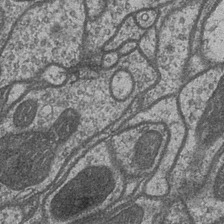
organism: Drosophila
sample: Optic medulla